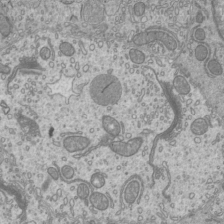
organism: Mouse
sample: Cilia; mouse epididymis